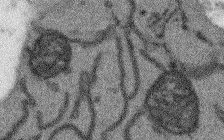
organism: Arabidopsis thaliana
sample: Root tip